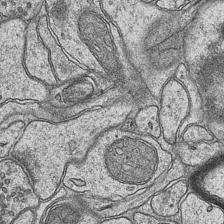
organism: Mouse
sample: CA1 Hippocampus